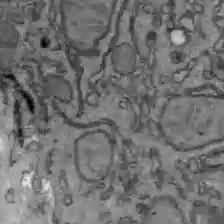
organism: C57BL Mouse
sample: Liver